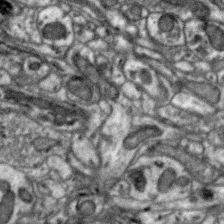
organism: Zebra finch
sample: Brain